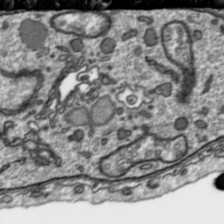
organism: Toxoplasma gondii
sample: Parasites in a vacuole inside a host cell